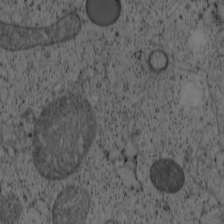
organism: African green monkey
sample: COS-7 cells